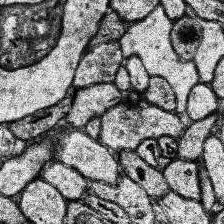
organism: Human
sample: Temporal Lobe